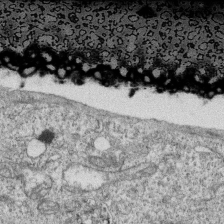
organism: Human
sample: HeLa cell HIV synapse